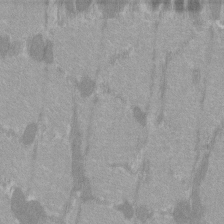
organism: C57BL Mouse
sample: Tibialis anterior muscle cell